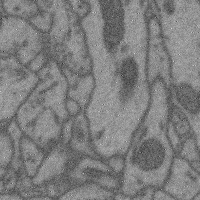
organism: Mouse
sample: Cerebral cortex